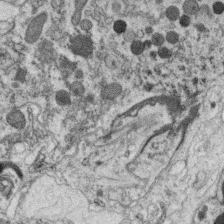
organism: C. elegans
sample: C. elegans oocyte; sperm cells